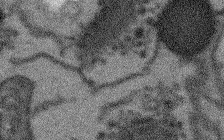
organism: Arabidopsis thaliana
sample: Root tip